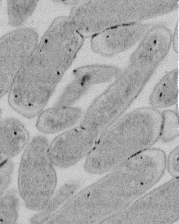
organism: E. coli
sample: Bacterial nucleoid